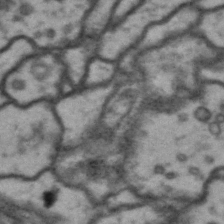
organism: Drosophila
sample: Brain